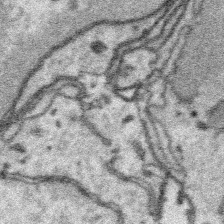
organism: Platynereis dumerilii